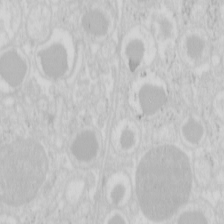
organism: Mouse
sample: Pancreas